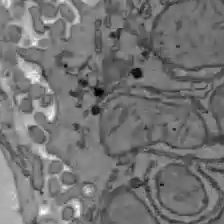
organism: C57BL Mouse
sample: Liver